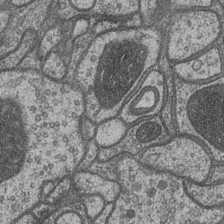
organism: Drosophila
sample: Optic medulla